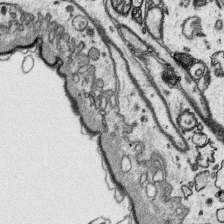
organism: Platynereis dumerilii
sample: Parapodia